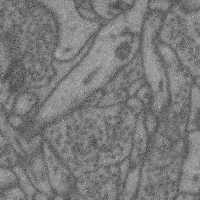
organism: Mouse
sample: Cerebral cortex